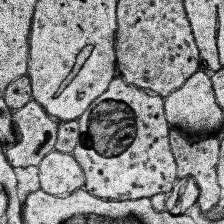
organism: Human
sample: Temporal Lobe